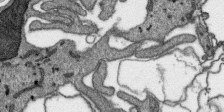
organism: Human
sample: Lung epithelial cells, uninfected (mock) control